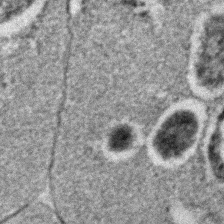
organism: C. elegans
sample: C. elegans embryo